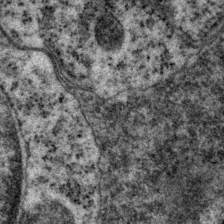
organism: P. pacificus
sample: Pharynx